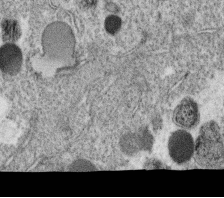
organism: C. elegans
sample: C. elegans oocyte; sperm cells